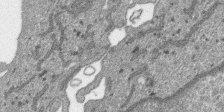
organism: Human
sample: Lung epithelial cells infected with SARS-CoV-2